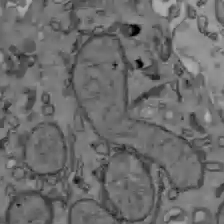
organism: C57BL Mouse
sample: Liver